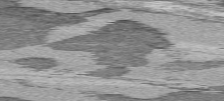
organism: C57BL Mouse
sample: Heart